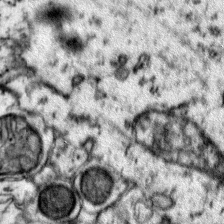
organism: Mouse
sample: Primary visual cortex